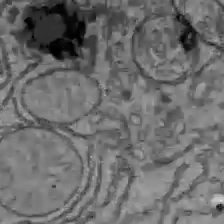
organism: C57BL Mouse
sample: Liver